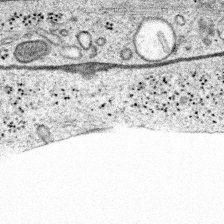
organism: Human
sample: HeLa cells